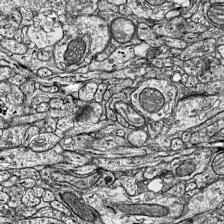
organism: Mouse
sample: Visual Cortex